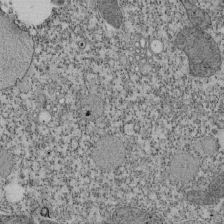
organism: Tetrahymena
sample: Cilia in tetrahymena